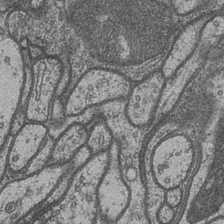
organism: Drosophila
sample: Optic medulla